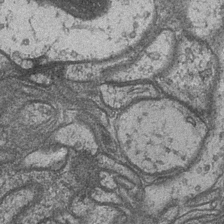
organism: Drosophila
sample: Optic medulla